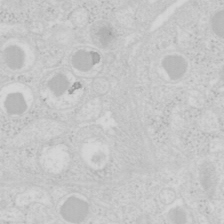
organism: Mouse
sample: Pancreas